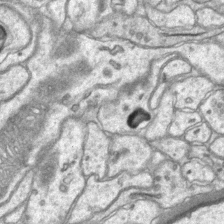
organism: Mouse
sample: CA1 Hippocampus